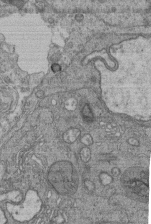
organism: Human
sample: Retinal organoid Rod and Cone cells